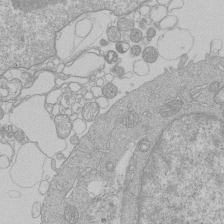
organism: Human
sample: Macrophage cells